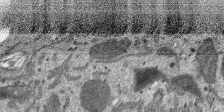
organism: Human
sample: Lung epithelial cells infected with SARS-CoV-2